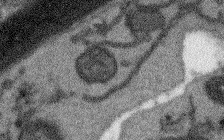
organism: Arabidopsis thaliana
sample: Root tip